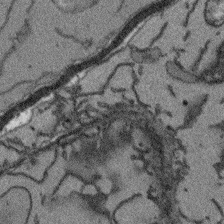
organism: Arabidopsis thaliana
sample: Root tip